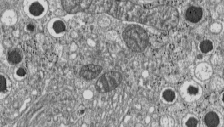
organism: C57BL Mouse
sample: Pancreatic islet